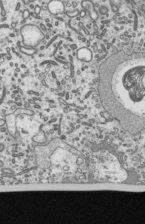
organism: Mouse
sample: Mouse epididymis efferent ductule cilia